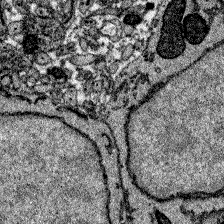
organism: Zebrafish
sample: Larval olfactory bulb